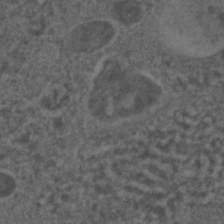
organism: C. elegans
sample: C. elegans embryo